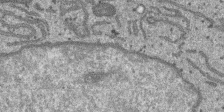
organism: Human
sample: Lung epithelial cells infected with SARS-CoV-2